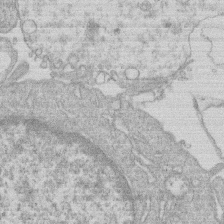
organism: Human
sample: Macrophage cells